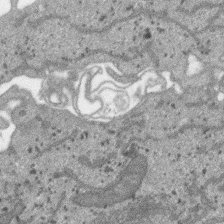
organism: Human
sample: Lung epithelial cells infected with SARS-CoV-2